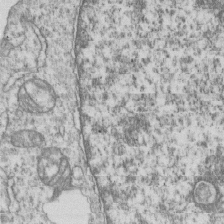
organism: Human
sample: MDA-MB-231 cells